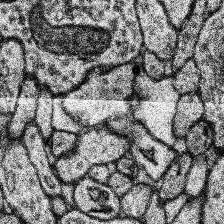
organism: Human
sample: Temporal Lobe